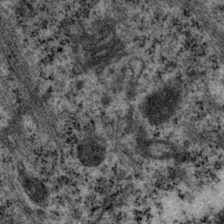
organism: P. pacificus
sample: Pharynx